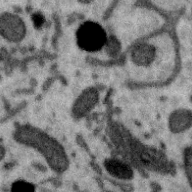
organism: Zebra finch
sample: Brain